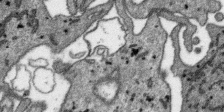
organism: Human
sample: Lung epithelial cells, uninfected (mock) control